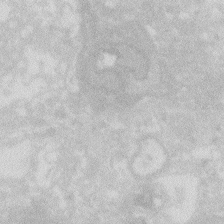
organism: Zebrafish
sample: Macrophage